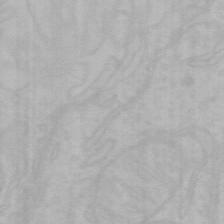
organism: Mouse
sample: Choroid plexus